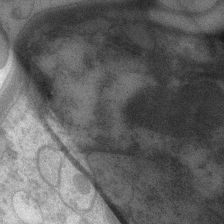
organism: C. elegans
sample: Pharynx